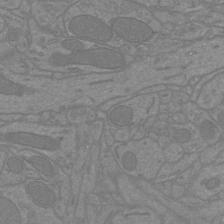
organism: Mouse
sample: Cortical neurons